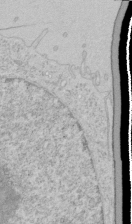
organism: Human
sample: Mitochondria in HCT116 cells